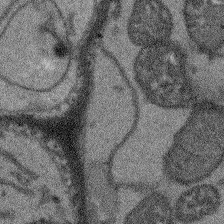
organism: Arabidopsis thaliana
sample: Root tip